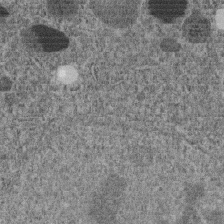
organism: C. elegans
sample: C. elegans embryo early stage